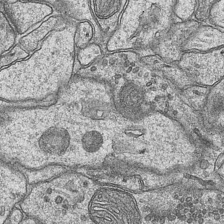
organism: Mouse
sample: CA1 Hippocampus